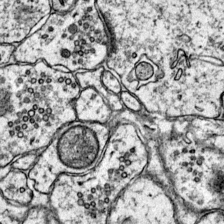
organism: Mouse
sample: Primary visual cortex